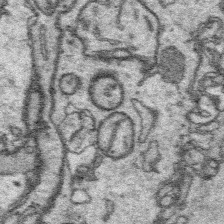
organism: Platynereis dumerilii